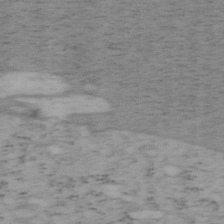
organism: Mouse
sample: OT-I killer T cells with ID8 ovarian cancer cells